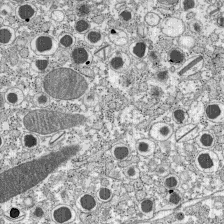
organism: C57BL Mouse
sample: Pancreatic islet